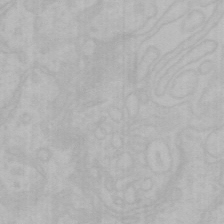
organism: Mouse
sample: Choroid plexus